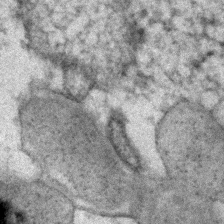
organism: Human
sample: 1205lu cells